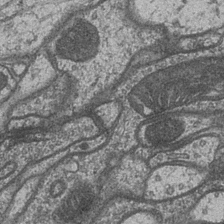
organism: Drosophila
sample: Optic medulla